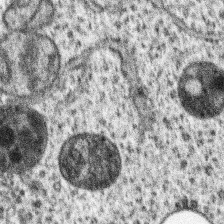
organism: Human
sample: HeLa cells